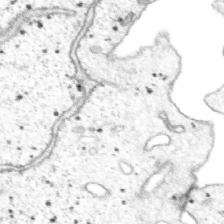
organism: Human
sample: HeLa cells